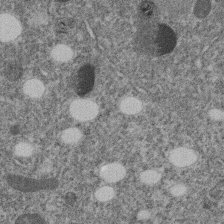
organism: C. elegans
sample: C. elegans embryo early stage